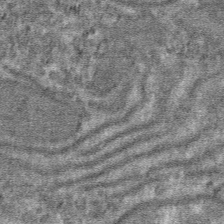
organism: Mouse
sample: Mouse hepatocytes